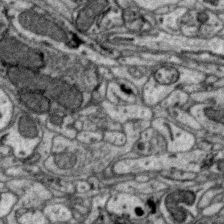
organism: Zebra finch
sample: Brain